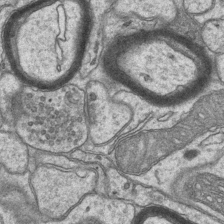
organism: Mouse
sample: CA1 Hippocampus